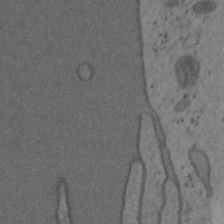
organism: Human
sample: HeLa cells